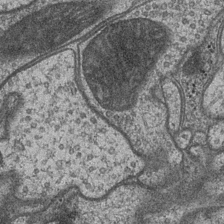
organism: Drosophila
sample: Optic medulla